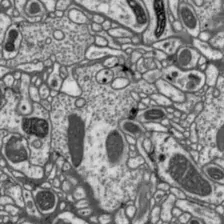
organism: Drosophila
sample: Protocerebral bridge